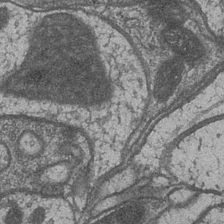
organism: Drosophila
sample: Optic medulla